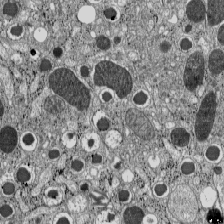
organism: C57BL Mouse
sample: Pancreatic islet